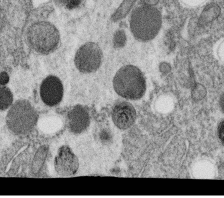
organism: C. elegans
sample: C. elegans oocyte; sperm cells